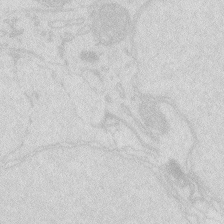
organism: Zebrafish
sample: Macrophage